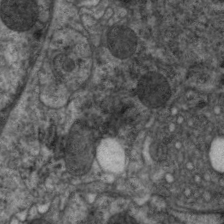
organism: C. elegans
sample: Pharynx